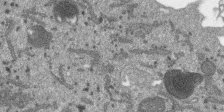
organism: Human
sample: Lung epithelial cells infected with SARS-CoV-2